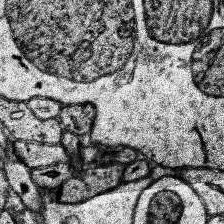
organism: Human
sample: Temporal Lobe